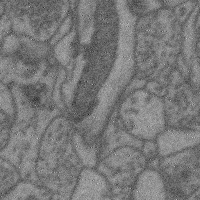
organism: Mouse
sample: Cerebral cortex